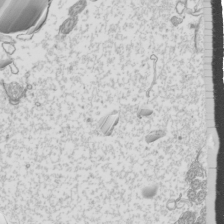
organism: Mouse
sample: Cilia; mouse epididymis